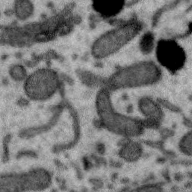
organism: Zebra finch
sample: Brain